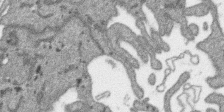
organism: Human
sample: Lung epithelial cells infected with SARS-CoV-2